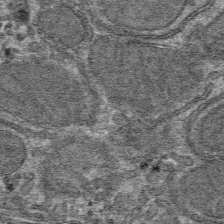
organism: Mouse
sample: Mouse hepatocytes